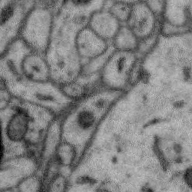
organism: Zebra finch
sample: Brain